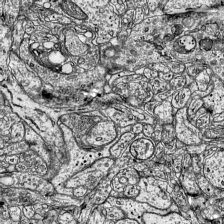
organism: Mouse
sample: Visual Cortex